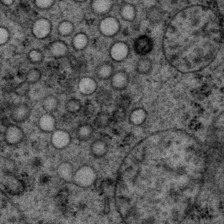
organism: P. pacificus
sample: Pharynx